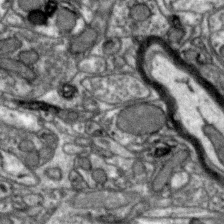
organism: Zebra finch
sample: Brain